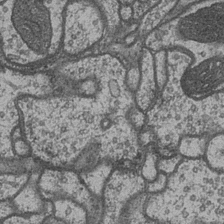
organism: Drosophila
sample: Optic medulla